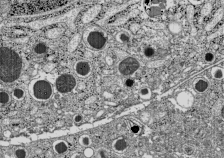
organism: C57BL Mouse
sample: Pancreatic islet